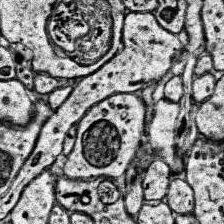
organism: Human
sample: Temporal Lobe